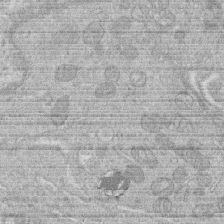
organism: Human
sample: Macrophage cells